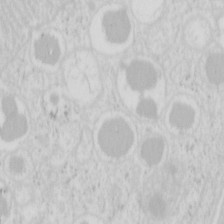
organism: Mouse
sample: Pancreas